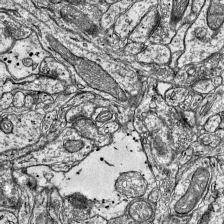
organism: Mouse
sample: Visual Cortex